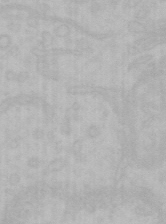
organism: Mouse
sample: Choroid plexus